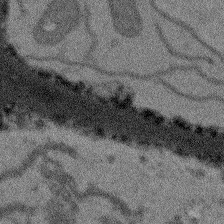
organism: Arabidopsis thaliana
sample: Root tip